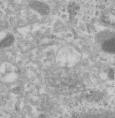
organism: Human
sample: Centriole in RPE cells